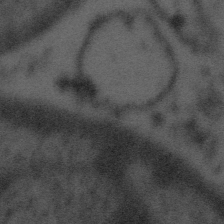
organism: Tuwongella immobilis